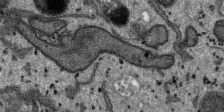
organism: Human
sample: Lung epithelial cells, uninfected (mock) control